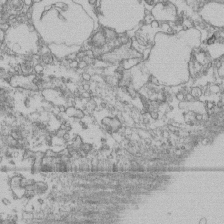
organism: Human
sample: Fibroblast cells